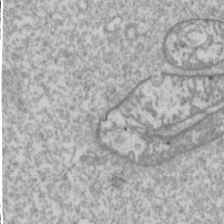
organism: Drosophila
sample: Cell division; meiosis; drosophila spermatocytes